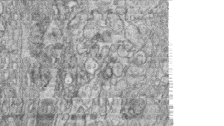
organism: Zebrafish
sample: synaptic ribbons in rod cells and cone cells